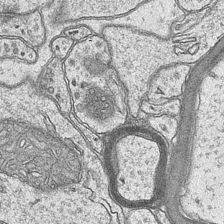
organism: Mouse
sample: CA1 Hippocampus